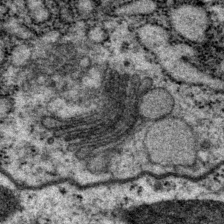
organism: P. pacificus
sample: Pharynx